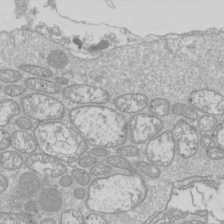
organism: Drosophila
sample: Cell division; meiosis; drosophila spermatocytes